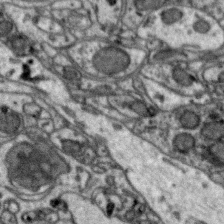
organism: Zebra finch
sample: Brain